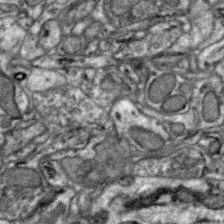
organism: Zebra finch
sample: Brain